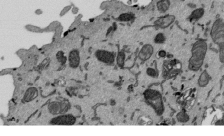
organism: Mouse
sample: ED-1 cell nuclei; centrioles